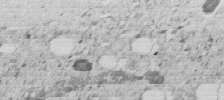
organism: C. elegans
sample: C. elegans embryo early stage